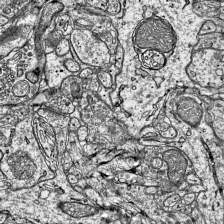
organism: Mouse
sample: Visual Cortex